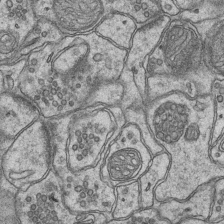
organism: Mouse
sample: CA1 Hippocampus